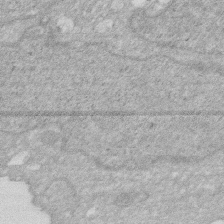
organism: Human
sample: HIV infected U937 cells